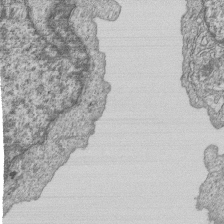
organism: Human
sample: MDA-MB-231 cells